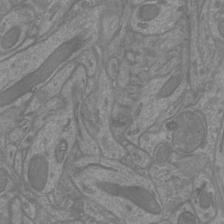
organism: Mouse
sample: Cortical neurons